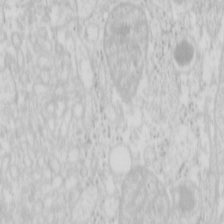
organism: Mouse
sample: Pancreas